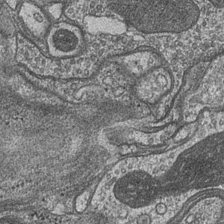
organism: Drosophila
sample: Optic medulla